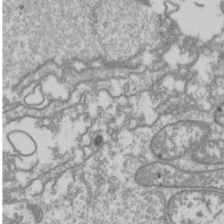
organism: Drosophila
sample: Cell division; meiosis; drosophila spermatocytes